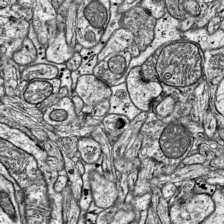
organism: Mouse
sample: Visual Cortex